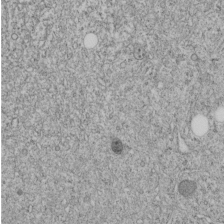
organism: C. elegans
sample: C. elegans embryo early stage